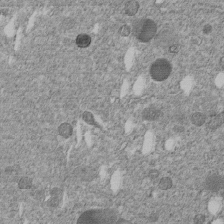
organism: C. elegans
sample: C. elegans embryo early stage